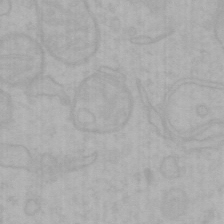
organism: Mouse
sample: Choroid plexus